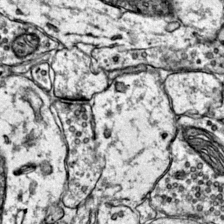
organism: Mouse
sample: Primary visual cortex